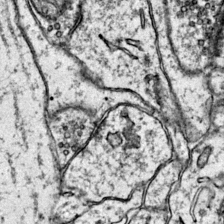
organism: Mouse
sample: Primary visual cortex